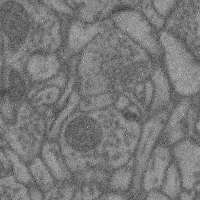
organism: Mouse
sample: Cerebral cortex